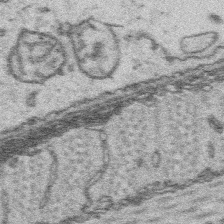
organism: Platynereis dumerilii